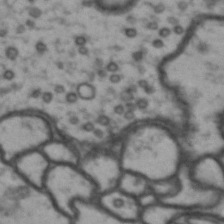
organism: Drosophila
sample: Brain